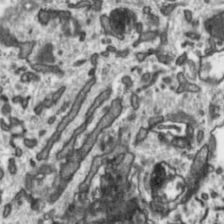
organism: Toxoplasma gondii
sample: Parasites in a vacuole inside a host cell